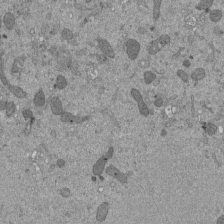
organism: Mouse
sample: ED-1 cell nuclei; centrioles